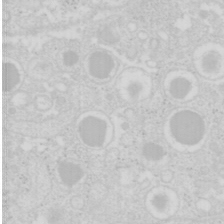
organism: Mouse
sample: Pancreas